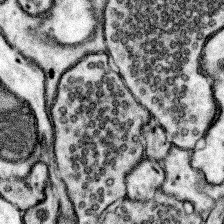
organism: Mouse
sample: Somatosensory cortex neuropil